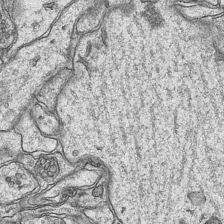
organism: Mouse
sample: CA1 Hippocampus